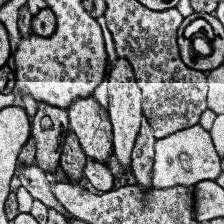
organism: Human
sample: Temporal Lobe